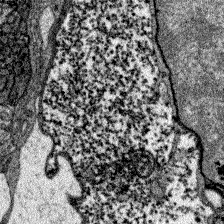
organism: Zebrafish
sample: Larval olfactory bulb